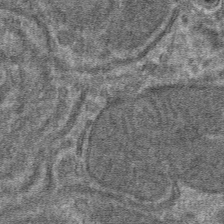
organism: Mouse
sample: Mouse hepatocytes